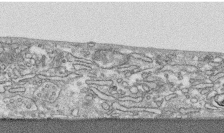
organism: Human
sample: CRL-1474